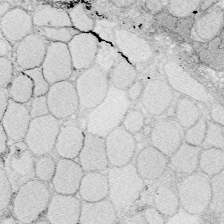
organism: Zebrafish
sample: Whole-Brain